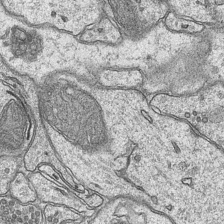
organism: Mouse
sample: CA1 Hippocampus